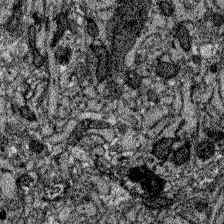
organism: Zebrafish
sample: Larval olfactory bulb